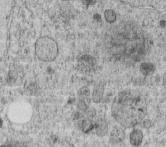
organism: C. elegans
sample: C. elegans embryo early stage